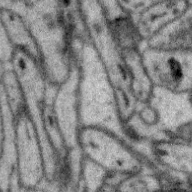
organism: Zebra finch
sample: Brain